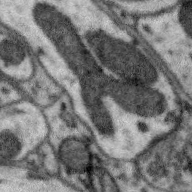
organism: Zebra finch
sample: Brain